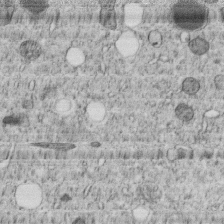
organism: C. elegans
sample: C. elegans embryo early stage